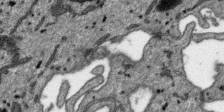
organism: Human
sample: Lung epithelial cells, uninfected (mock) control